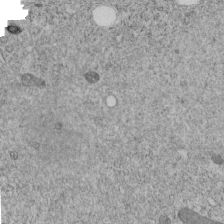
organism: C. elegans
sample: C. elegans embryo early stage